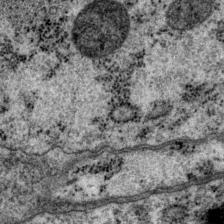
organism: P. pacificus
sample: Pharynx